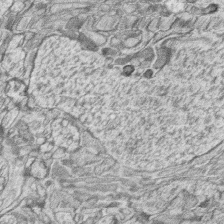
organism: Zebrafish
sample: synaptic ribbons in rod cells and cone cells